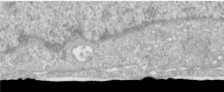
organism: Human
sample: Centriole in RPE cells